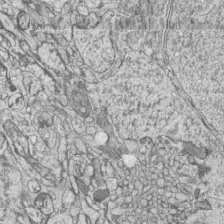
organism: Zebrafish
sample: synaptic ribbons in rod cells and cone cells